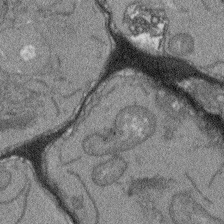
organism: Arabidopsis thaliana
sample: Root tip